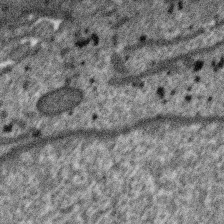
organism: Human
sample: Lung epithelial cells infected with SARS-CoV-2